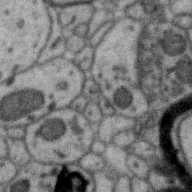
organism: Zebra finch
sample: Brain